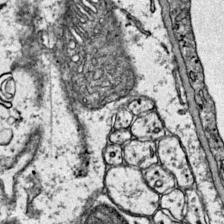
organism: Mouse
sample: Primary visual cortex